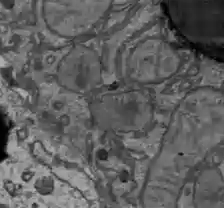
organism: C57BL Mouse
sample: Liver